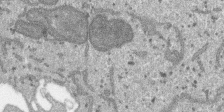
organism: Human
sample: Lung epithelial cells infected with SARS-CoV-2